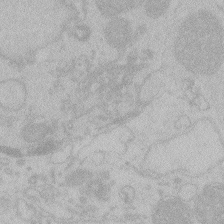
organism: Zebrafish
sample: Macrophage infected with Toxoplasma gondii